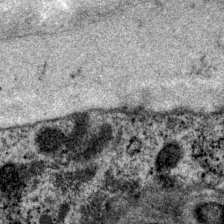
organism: P. pacificus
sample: Pharynx